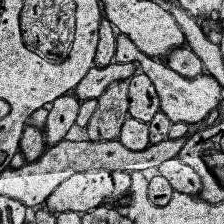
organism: Human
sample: Temporal Lobe